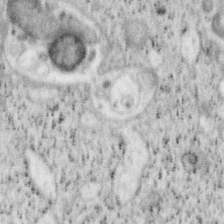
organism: Mouse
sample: OT-I killer T cells with ID8 ovarian cancer cells